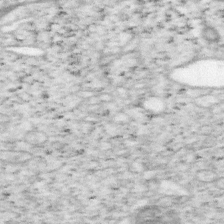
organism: Mouse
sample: OT-I killer T cells with ID8 ovarian cancer cells